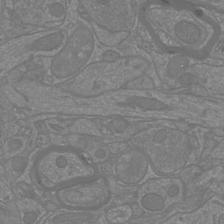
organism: Mouse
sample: Cortical neurons